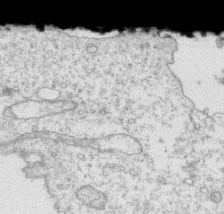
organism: Human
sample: HeLa cell HIV synapse